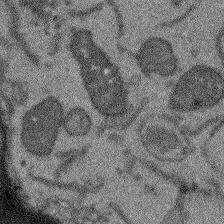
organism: Arabidopsis thaliana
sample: Root tip